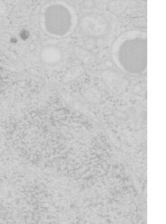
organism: Mouse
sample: Pancreas